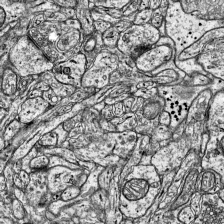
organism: Mouse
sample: Visual Cortex